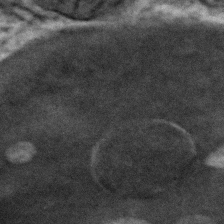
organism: Zebrafish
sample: Zebrafish embryo